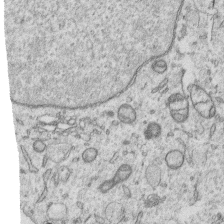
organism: Human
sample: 1205lu cells